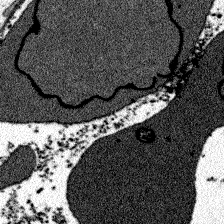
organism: Zebrafish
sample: Larval olfactory bulb